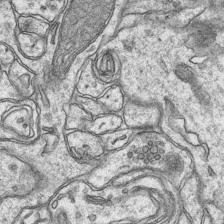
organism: Mouse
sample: CA1 Hippocampus